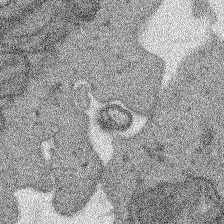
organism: Human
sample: HeLa cells